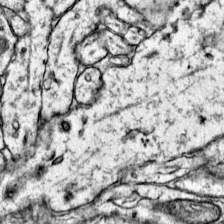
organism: Mouse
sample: Primary visual cortex